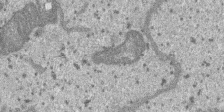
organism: Human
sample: Lung epithelial cells infected with SARS-CoV-2